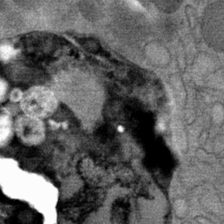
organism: Mouse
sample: Mouse Salivary gland